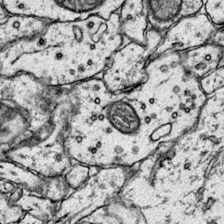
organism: Mouse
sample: Primary visual cortex